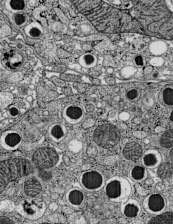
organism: C57BL Mouse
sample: Pancreatic islet